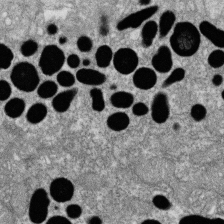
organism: Zebrafish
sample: Cilia; retinal pigment epithelium